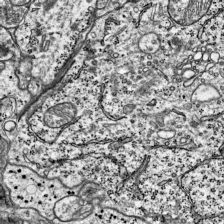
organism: Mouse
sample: Visual Cortex